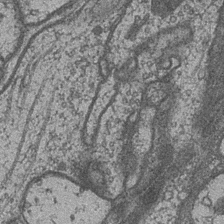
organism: Drosophila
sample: Optic medulla